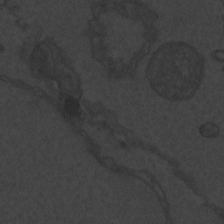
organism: Zebrafish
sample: Macrophage infected with Toxoplasma gondii